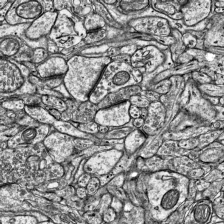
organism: Mouse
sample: Visual Cortex